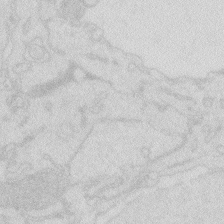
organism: Zebrafish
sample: Macrophage